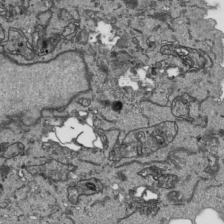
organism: Human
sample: Mitochondria in HCT116 cells